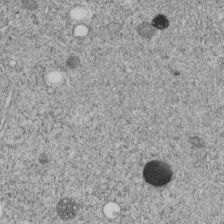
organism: C. elegans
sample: C. elegans embryo early stage